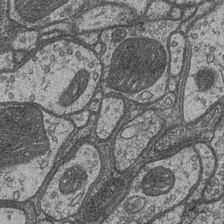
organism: Drosophila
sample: Optic medulla